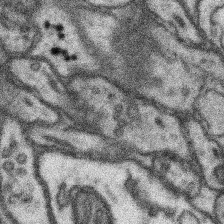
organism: Mouse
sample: Somatosensory cortex neuropil